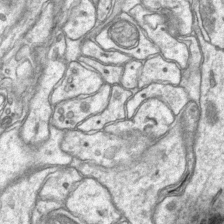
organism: Mouse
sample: CA1 Hippocampus